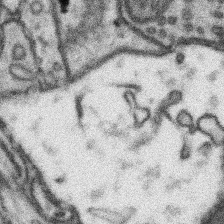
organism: Mouse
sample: Somatosensory cortex neuropil